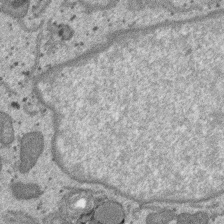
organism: Human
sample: Lung epithelial cells infected with SARS-CoV-2